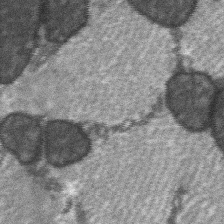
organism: C57BL Mouse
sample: Soleus